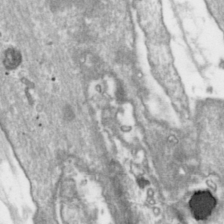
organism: Toxoplasma gondii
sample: Parasites in a vacuole inside a host cell